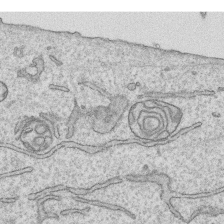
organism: Human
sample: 1205lu cells